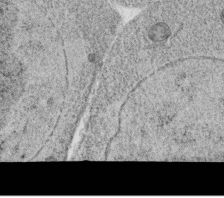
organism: C. elegans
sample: C. elegans oocyte; sperm cells